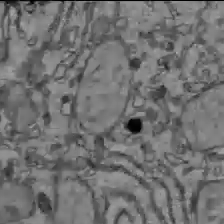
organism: C57BL Mouse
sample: Liver